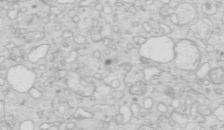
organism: Mouse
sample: Multiciliated cells